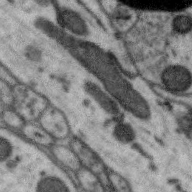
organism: Zebra finch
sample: Brain